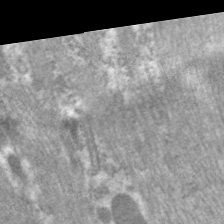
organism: C. elegans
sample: Pharynx